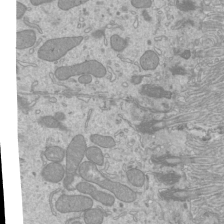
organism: Mouse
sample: Cilia; mouse epididymis